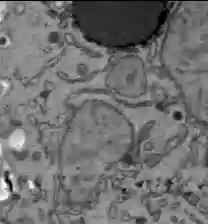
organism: C57BL Mouse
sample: Liver